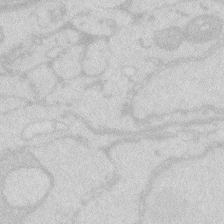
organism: Zebrafish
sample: Macrophage